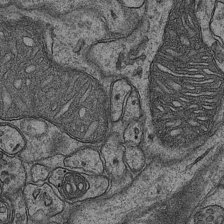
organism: Mouse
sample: CA1 Hippocampus